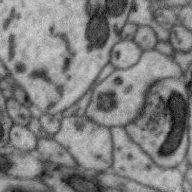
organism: Zebra finch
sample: Brain